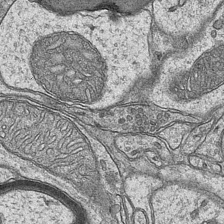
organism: Mouse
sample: CA1 Hippocampus